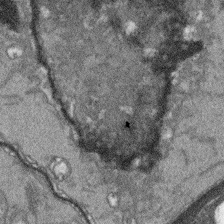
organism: Arabidopsis thaliana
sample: Root tip